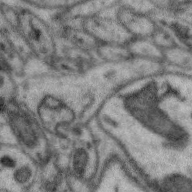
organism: Zebra finch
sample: Brain